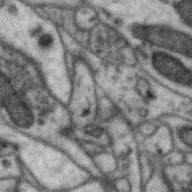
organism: Zebra finch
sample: Brain